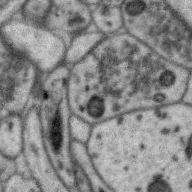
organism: Zebra finch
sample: Brain